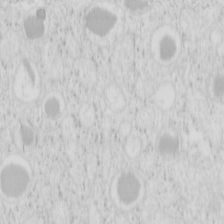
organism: Mouse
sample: Pancreas